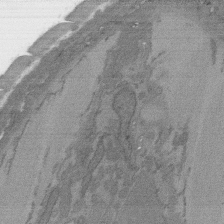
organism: C. elegans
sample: AFD neurons C. elegans